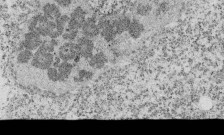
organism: Tetrahymena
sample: Cilia in tetrahymena